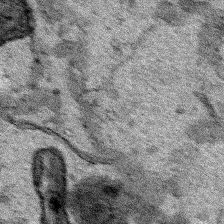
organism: Human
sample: Mitochondria in HCT116 cells